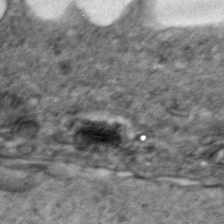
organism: Zebrafish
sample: Zebrafish embryo